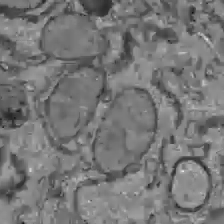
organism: C57BL Mouse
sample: Liver